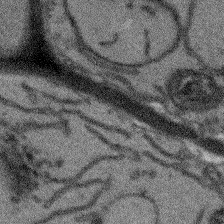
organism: Arabidopsis thaliana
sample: Root tip